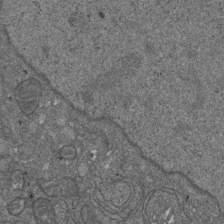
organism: Drosophila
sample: Nephrocyte